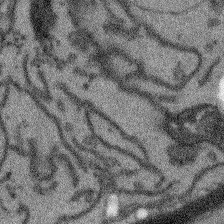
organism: Arabidopsis thaliana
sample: Root tip